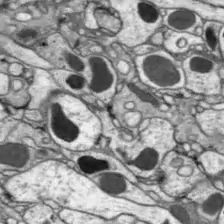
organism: Drosophila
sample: Optic lobe